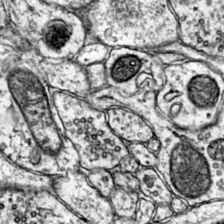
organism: Mouse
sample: Primary visual cortex